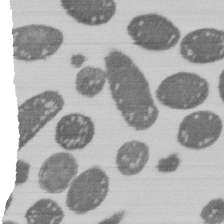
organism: E. coli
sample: Bacterial nucleoid